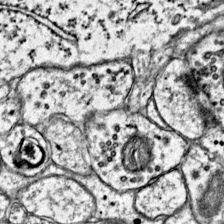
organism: Mouse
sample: Primary visual cortex